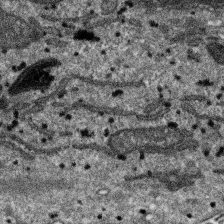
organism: Human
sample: Lung epithelial cells infected with SARS-CoV-2